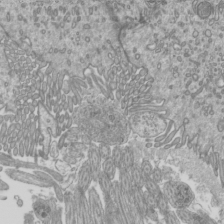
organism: Mouse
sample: Cilia; mouse epididymis